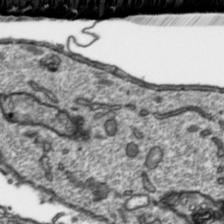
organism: Toxoplasma gondii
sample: Parasites in a vacuole inside a host cell